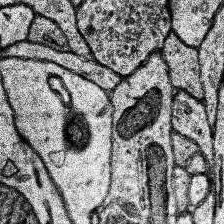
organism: Human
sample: Temporal Lobe